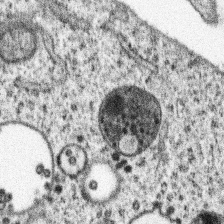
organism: Human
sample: HeLa cells